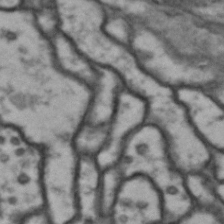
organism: Drosophila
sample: Brain